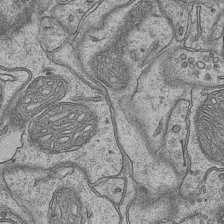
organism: Mouse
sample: CA1 Hippocampus